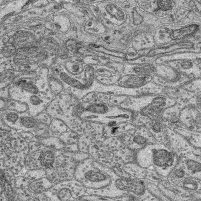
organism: Mouse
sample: Retina